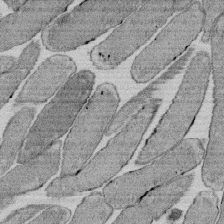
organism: E. coli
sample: Bacterial nucleoid